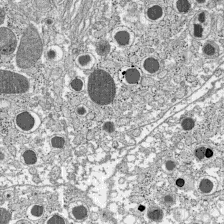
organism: C57BL Mouse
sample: Pancreatic islet